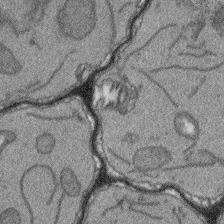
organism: Arabidopsis thaliana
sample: Root tip